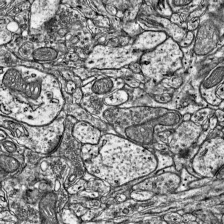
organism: Mouse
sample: Visual Cortex